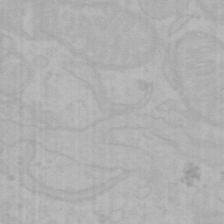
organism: Mouse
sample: Choroid plexus